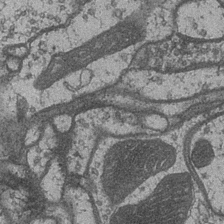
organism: Drosophila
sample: Optic medulla